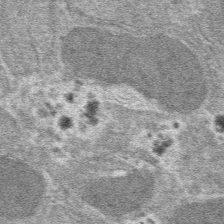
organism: Mouse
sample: Mouse hepatocytes